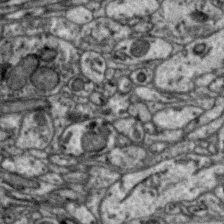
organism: Zebra finch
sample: Brain